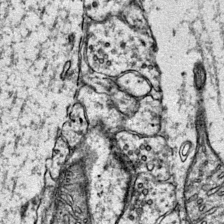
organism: Mouse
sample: Primary visual cortex